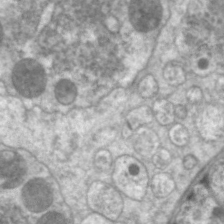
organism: C. elegans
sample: Pharynx